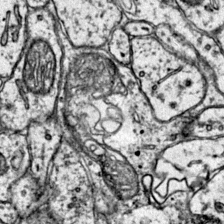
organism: Mouse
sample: Primary visual cortex